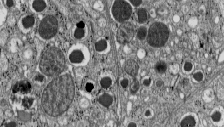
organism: C57BL Mouse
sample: Pancreatic islet